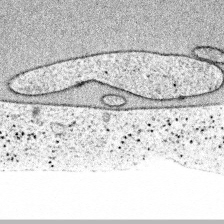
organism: Human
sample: HeLa cells